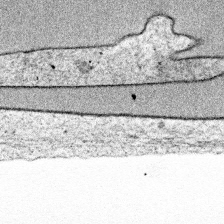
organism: Human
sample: HeLa cells